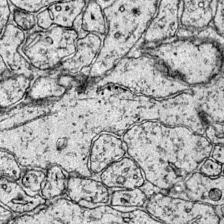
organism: Mouse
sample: Primary visual cortex